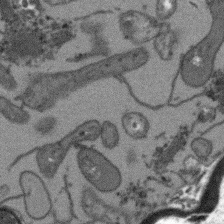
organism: Arabidopsis thaliana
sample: Root tip